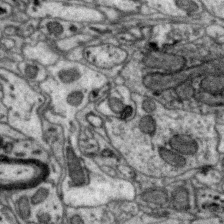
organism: Zebra finch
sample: Brain